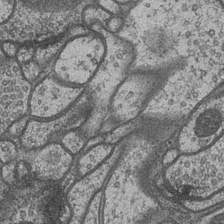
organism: Drosophila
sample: Optic medulla